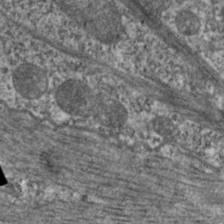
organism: C. elegans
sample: Pharynx